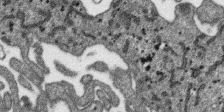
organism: Human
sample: Lung epithelial cells infected with SARS-CoV-2